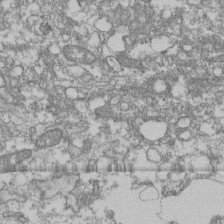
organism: Human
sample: Fibroblast cells